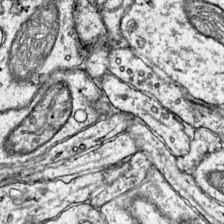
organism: Mouse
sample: Primary visual cortex